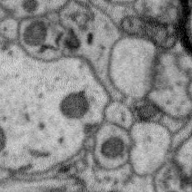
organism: Zebra finch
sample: Brain